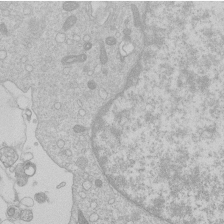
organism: Human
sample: Macrophage cells